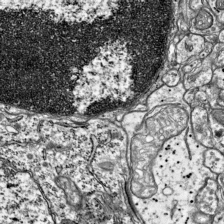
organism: Mouse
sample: Visual Cortex